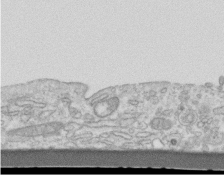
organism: Mouse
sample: Centriole in ependymal cells